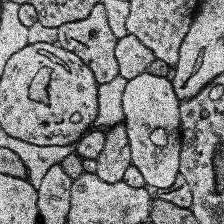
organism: Human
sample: Temporal Lobe